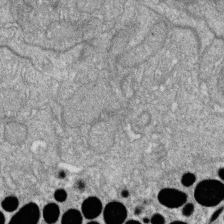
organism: Zebrafish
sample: Cilia; retinal pigment epithelium